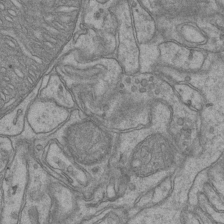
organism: Mouse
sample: CA1 Hippocampus